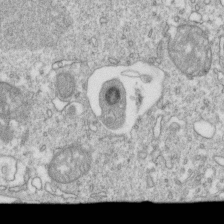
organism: Mouse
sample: Activated OT-1 CD8+ T cells